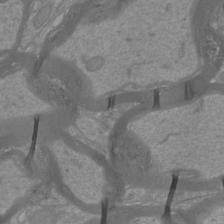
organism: Mouse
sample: Cortical neurons